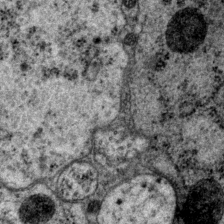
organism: P. pacificus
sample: Pharynx